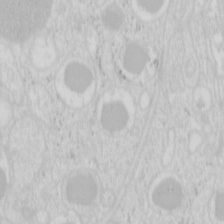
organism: Mouse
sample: Pancreas